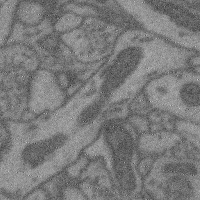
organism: Mouse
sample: Cerebral cortex